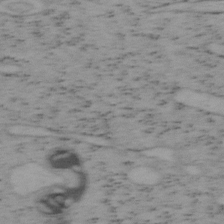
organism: Mouse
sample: OT-I killer T cells with ID8 ovarian cancer cells